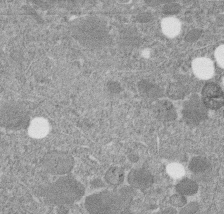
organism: C. elegans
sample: C. elegans embryo early stage